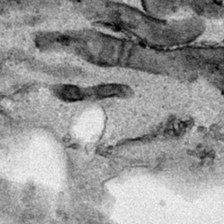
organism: Human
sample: Mitochondria in HCT116 cells